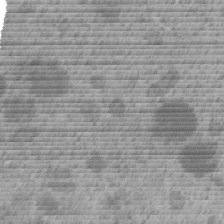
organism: C. elegans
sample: C. elegans embryo early stage